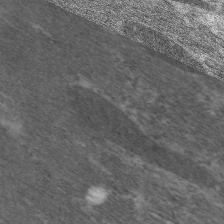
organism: C. elegans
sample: Pharynx